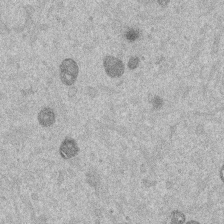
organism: Mouse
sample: Dividing mouse embryo 1 cell stage